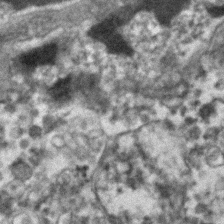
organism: Human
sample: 1205lu cells